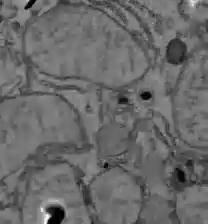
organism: C57BL Mouse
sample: Liver